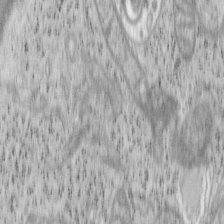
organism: Human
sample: HeLa cells